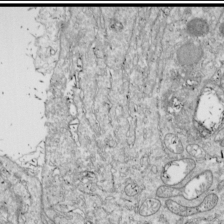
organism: Drosophila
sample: Cell division; meiosis; drosophila spermatocytes